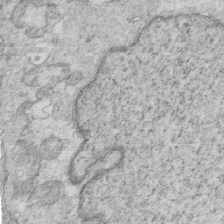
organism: Mouse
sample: Multiciliated cells